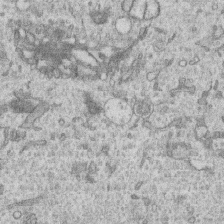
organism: Human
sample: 1205lu cells